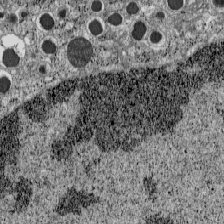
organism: C57BL Mouse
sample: Pancreatic islet